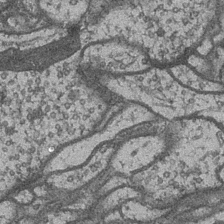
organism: Drosophila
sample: Optic medulla